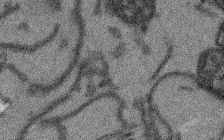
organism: Arabidopsis thaliana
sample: Root tip